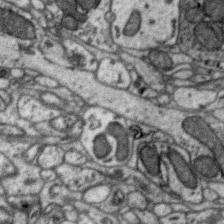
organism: Zebra finch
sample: Brain